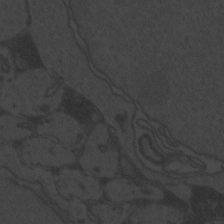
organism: Zebrafish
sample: Macrophage infected with Toxoplasma gondii